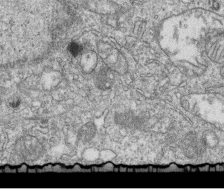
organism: Human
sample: HeLa cell HIV synapse